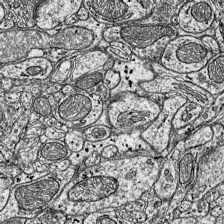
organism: Mouse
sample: Visual Cortex